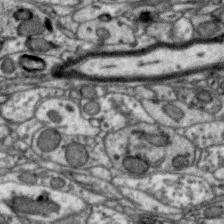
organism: Zebra finch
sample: Brain